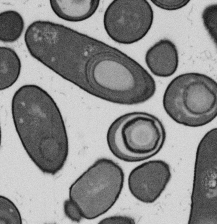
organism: B. subtilis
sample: Bacterial spore